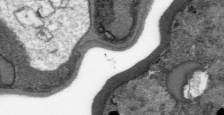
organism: Plasmodium falciparum